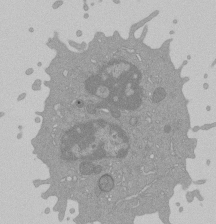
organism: Mouse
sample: Activated Pmel transgenic CD8+ T Cells